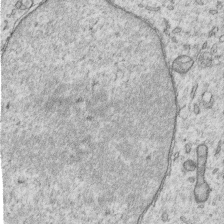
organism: Human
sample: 1205lu cells